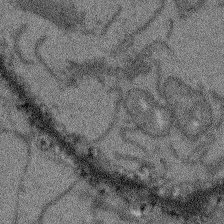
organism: Arabidopsis thaliana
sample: Root tip